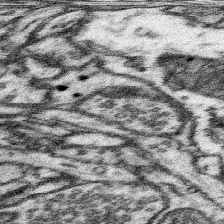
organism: Mouse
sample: Somatosensory cortex neuropil